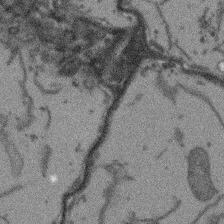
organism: Arabidopsis thaliana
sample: Root tip